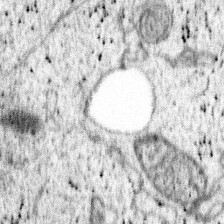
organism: Human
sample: HeLa cells